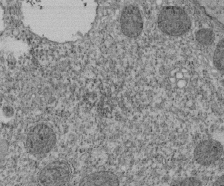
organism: Tetrahymena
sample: Cilia in tetrahymena